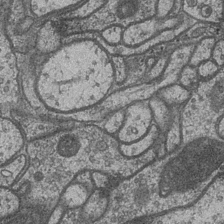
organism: Drosophila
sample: Optic medulla